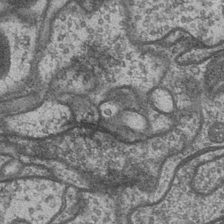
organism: Drosophila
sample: Optic medulla